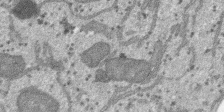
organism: Human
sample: Lung epithelial cells infected with SARS-CoV-2